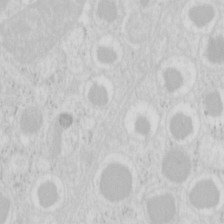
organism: Mouse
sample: Pancreas